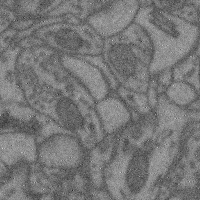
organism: Mouse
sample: Cerebral cortex